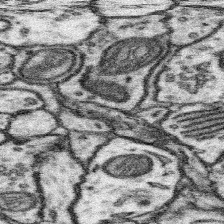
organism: Mouse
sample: Somatosensory cortex neuropil